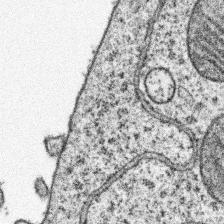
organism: Human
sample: HeLa cells